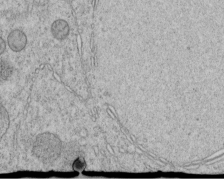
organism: C. elegans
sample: C. elegans embryo early stage